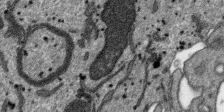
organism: Human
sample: Lung epithelial cells, uninfected (mock) control